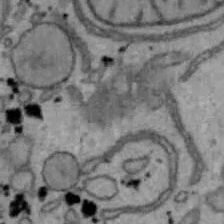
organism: Mouse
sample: Liver